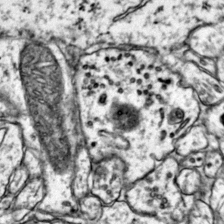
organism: Mouse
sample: Primary visual cortex